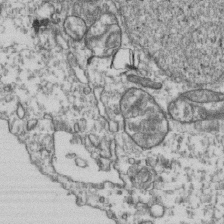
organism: Human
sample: Activated Jurkat CD4+ T cells